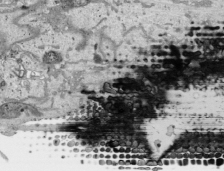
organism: Human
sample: Mitochondria in HCT116 cells